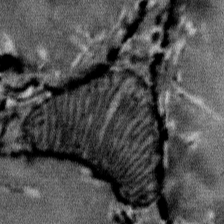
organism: Mouse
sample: Mouse Salivary gland